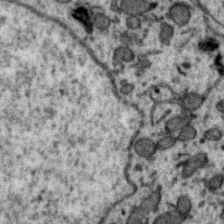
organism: Zebra finch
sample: Brain